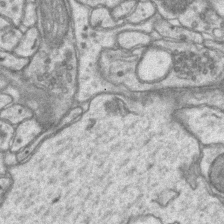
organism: Mouse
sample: CA1 Hippocampus